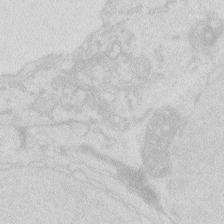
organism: Zebrafish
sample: Macrophage